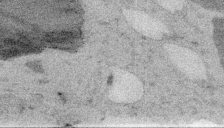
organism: Embia sp.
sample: Silk gland